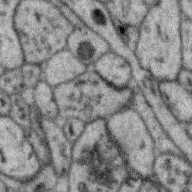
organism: Zebra finch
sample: Brain